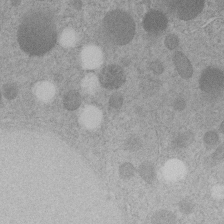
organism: C. elegans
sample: C. elegans embryo early stage